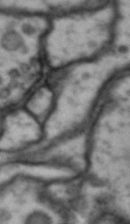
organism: Drosophila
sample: Brain